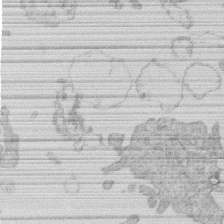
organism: Human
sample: Macrophage cells